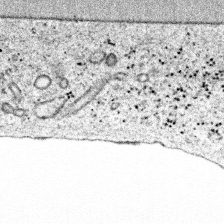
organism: Human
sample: HeLa cells